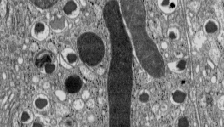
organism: C57BL Mouse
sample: Pancreatic islet